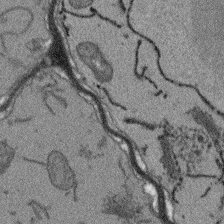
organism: Arabidopsis thaliana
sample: Root tip